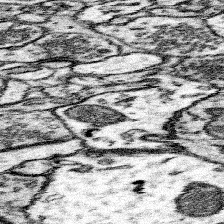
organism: Mouse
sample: Somatosensory cortex neuropil